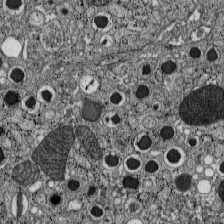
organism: C57BL Mouse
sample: Pancreatic islet